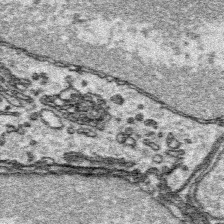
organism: Platynereis dumerilii